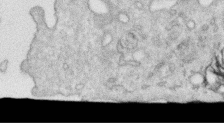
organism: Human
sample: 1205lu cells